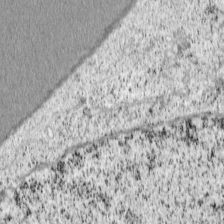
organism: African green monkey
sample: COS-7 cells